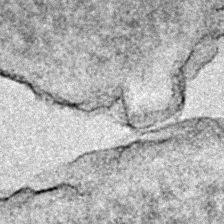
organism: E. coli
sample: E. Coli Bacteria